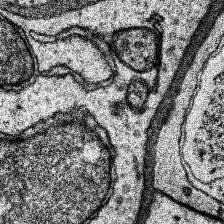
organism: Human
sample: Temporal Lobe